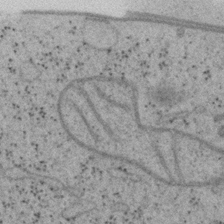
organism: Human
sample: HeLa cells